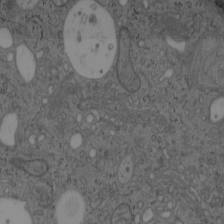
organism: Mouse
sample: OT-I killer T cells with ID8 ovarian cancer cells